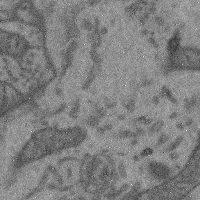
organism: Mouse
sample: Cerebral cortex